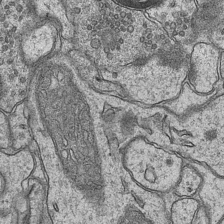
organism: Mouse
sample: CA1 Hippocampus